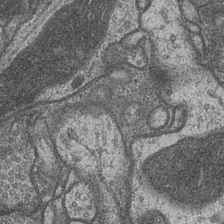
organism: Drosophila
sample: Optic medulla